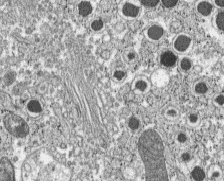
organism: C57BL Mouse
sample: Pancreatic islet